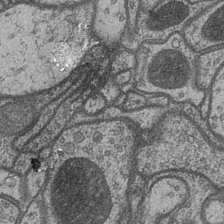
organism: Drosophila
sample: Optic medulla